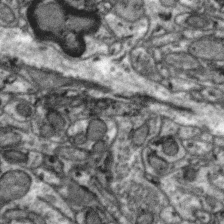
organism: Zebra finch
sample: Brain